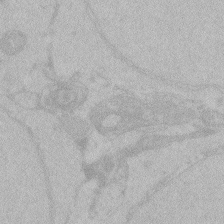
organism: Zebrafish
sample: Macrophage infected with Toxoplasma gondii